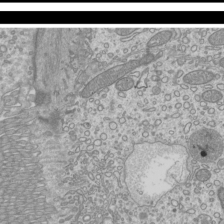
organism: Mouse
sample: Cilia; mouse epididymis